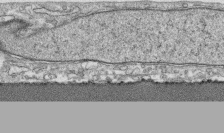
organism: Human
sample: CRL-1474